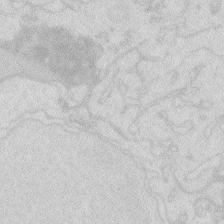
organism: Zebrafish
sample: Macrophage